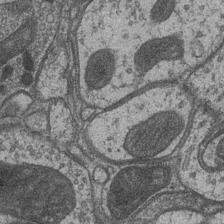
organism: Drosophila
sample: Optic medulla